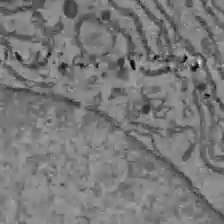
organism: C57BL Mouse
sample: Liver